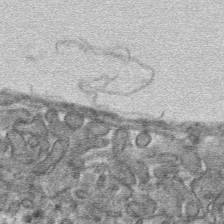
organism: Mouse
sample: Mouse hepatocytes